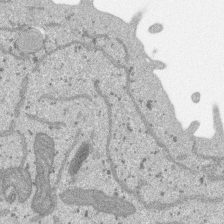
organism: Human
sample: Lung epithelial cells infected with SARS-CoV-2